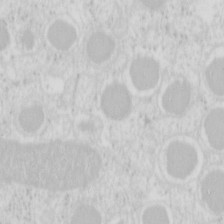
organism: Mouse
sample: Pancreas